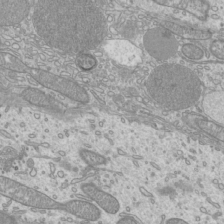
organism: Mouse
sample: Cilia; mouse epididymis